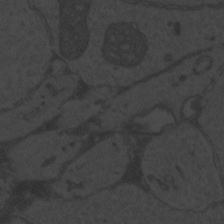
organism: Zebrafish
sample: Macrophage infected with Toxoplasma gondii